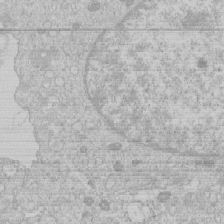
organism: Human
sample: Macrophage cells